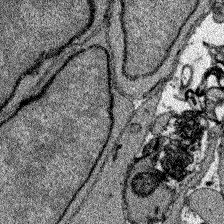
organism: Zebrafish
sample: Larval olfactory bulb